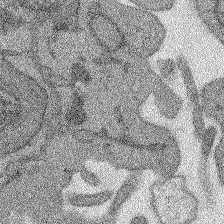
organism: Human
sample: HeLa cells